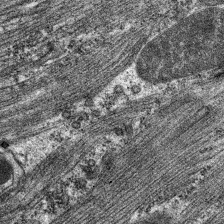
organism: C. elegans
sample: Pharynx